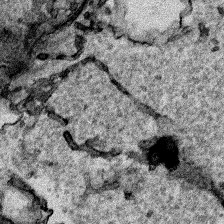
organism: Human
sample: Mitochondria in HCT116 cells